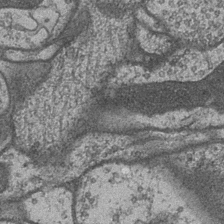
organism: Drosophila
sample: Optic medulla